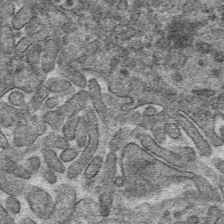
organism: Mouse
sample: Mouse hepatocytes